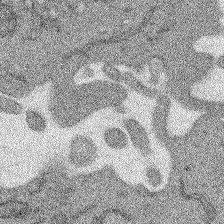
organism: Human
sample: HeLa cells